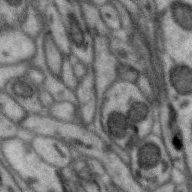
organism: Zebra finch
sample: Brain